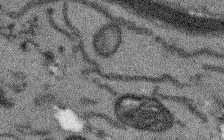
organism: Arabidopsis thaliana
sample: Root tip